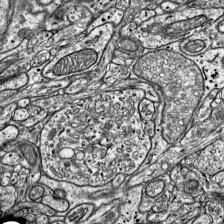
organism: Mouse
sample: Visual Cortex